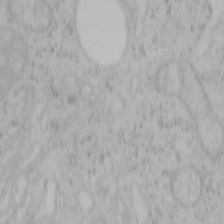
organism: Mouse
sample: OT-I killer T cells with ID8 ovarian cancer cells